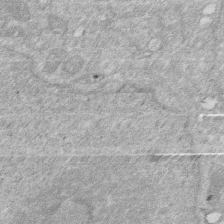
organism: Human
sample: HIV infected U937 cells